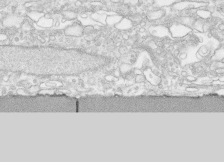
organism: Human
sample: CRL-1474